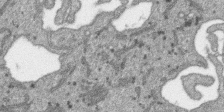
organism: Human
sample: Lung epithelial cells infected with SARS-CoV-2